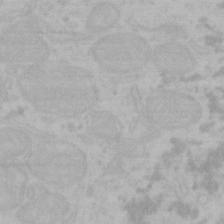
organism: Mouse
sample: Choroid plexus